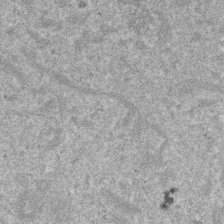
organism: Mouse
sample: Dividing mouse embryo 1 cell stage